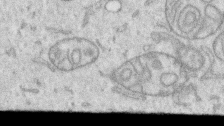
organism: Human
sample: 1205lu cells